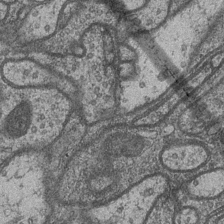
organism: Drosophila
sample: Optic medulla